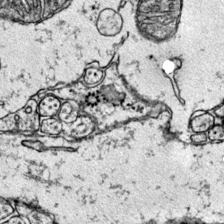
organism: Mouse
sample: Primary visual cortex